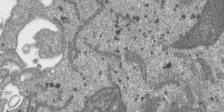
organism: Human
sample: Lung epithelial cells infected with SARS-CoV-2